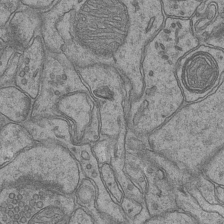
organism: Mouse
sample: CA1 Hippocampus